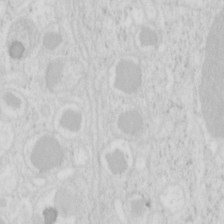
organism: Mouse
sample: Pancreas